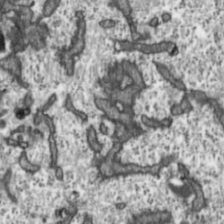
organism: Toxoplasma gondii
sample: Parasites in a vacuole inside a host cell